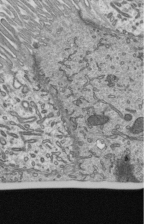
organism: Mouse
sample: Mouse epididymis efferent ductule cilia